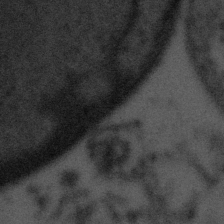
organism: Tuwongella immobilis